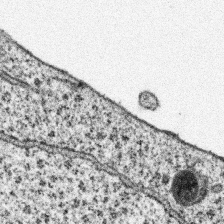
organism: Human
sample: HeLa cells